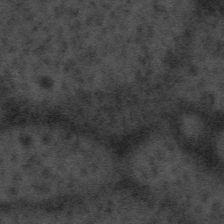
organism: Tuwongella immobilis